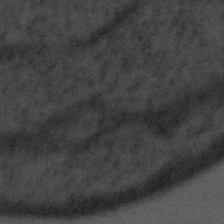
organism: Tuwongella immobilis